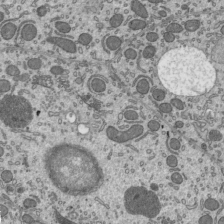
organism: Mouse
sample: Mouse epididymis efferent ductule cilia